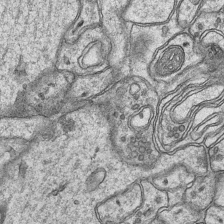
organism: Mouse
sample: CA1 Hippocampus